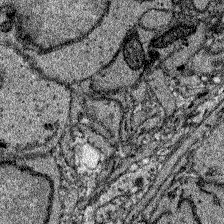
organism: Zebrafish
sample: Larval olfactory bulb